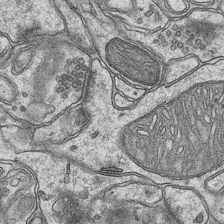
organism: Mouse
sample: CA1 Hippocampus